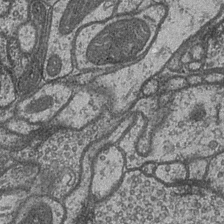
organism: Drosophila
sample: Optic medulla